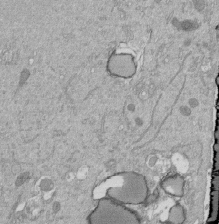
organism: Mouse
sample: ED-1 cell nuclei; centrioles